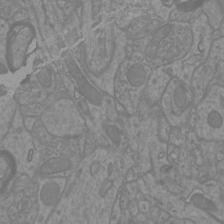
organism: Mouse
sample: Cortical neurons